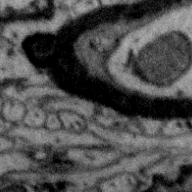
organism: Zebra finch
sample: Brain